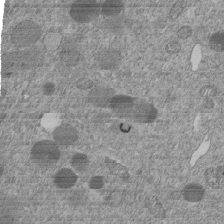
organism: C. elegans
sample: C. elegans embryo early stage